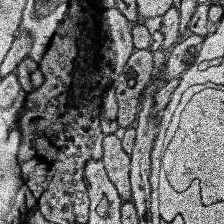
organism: Human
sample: Temporal Lobe